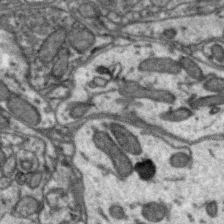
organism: Zebra finch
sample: Brain